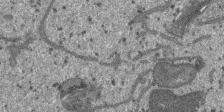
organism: Human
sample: Lung epithelial cells infected with SARS-CoV-2